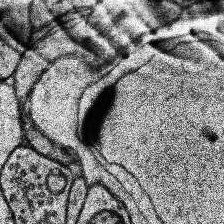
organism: Human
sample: Temporal Lobe